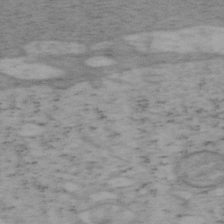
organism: Mouse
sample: OT-I killer T cells with ID8 ovarian cancer cells